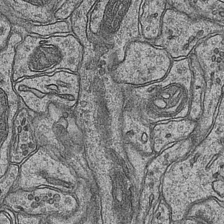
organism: Mouse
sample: CA1 Hippocampus